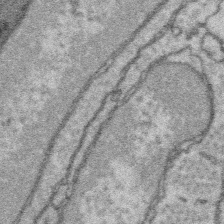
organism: Platynereis dumerilii